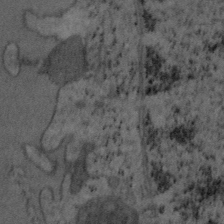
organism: Human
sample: HeLa cells